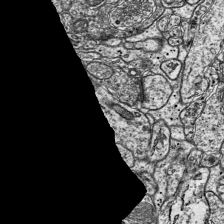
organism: Mouse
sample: Visual Cortex